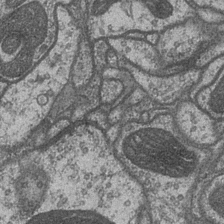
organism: Drosophila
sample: Optic medulla